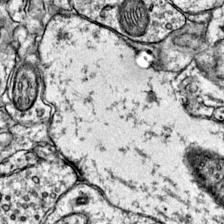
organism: Mouse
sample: Primary visual cortex